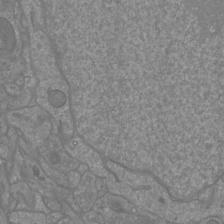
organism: Mouse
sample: Cortical neurons